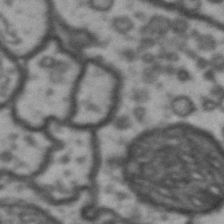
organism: Drosophila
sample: Brain